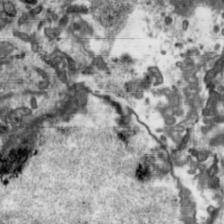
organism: Toxoplasma gondii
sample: Parasites in a vacuole inside a host cell